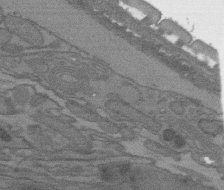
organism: C. elegans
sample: AFD neurons C. elegans